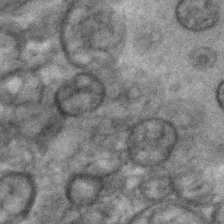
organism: C. elegans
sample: C. elegans embryo